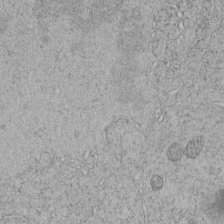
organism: C. elegans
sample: C. elegans embryo early stage